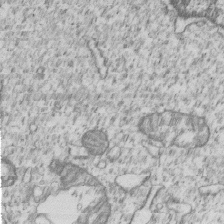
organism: Human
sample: MDA-MB-231 cells